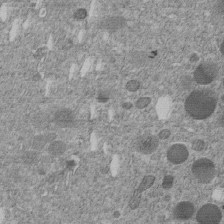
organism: C. elegans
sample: C. elegans embryo early stage